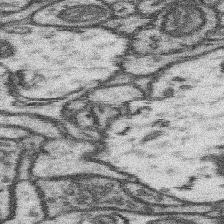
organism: Mouse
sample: Somatosensory cortex neuropil